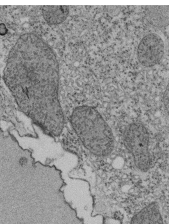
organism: Tetrahymena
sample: Cilia in tetrahymena